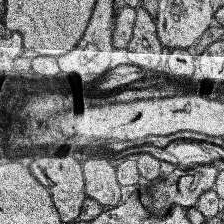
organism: Human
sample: Temporal Lobe